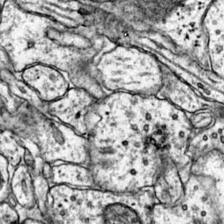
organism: Mouse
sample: Primary visual cortex